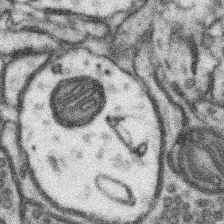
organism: Mouse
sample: Somatosensory cortex neuropil